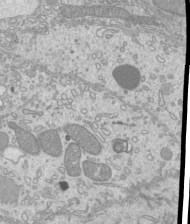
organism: Mouse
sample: Cilia; mouse epididymis